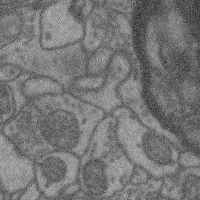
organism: Mouse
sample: Cerebral cortex